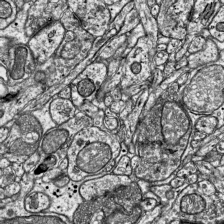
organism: Mouse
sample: Visual Cortex